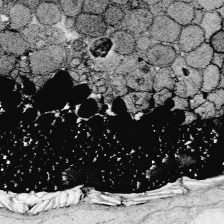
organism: Zebrafish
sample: Whole-Brain